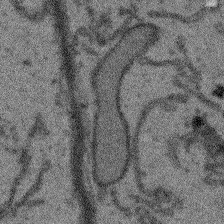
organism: Arabidopsis thaliana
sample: Root tip